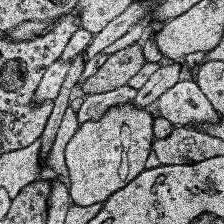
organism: Human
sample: Temporal Lobe